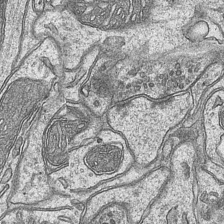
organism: Mouse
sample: CA1 Hippocampus